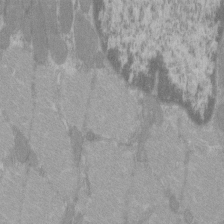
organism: C57BL Mouse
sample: Tibialis anterior muscle cell